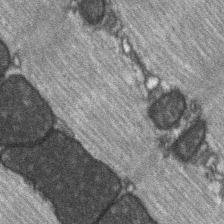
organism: C57BL Mouse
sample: Soleus